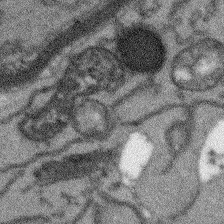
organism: Arabidopsis thaliana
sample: Root tip